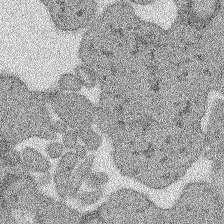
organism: Human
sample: HeLa cells